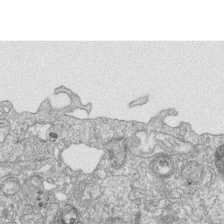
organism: Human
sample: HeLa cell HIV synapse